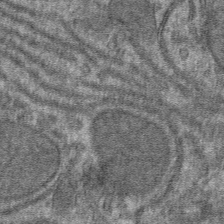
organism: Mouse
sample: Mouse hepatocytes